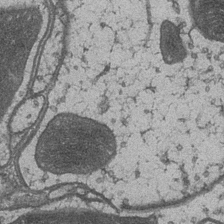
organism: Drosophila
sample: Optic medulla